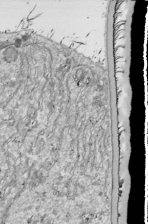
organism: Drosophila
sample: Cell division; meiosis; drosophila spermatocytes